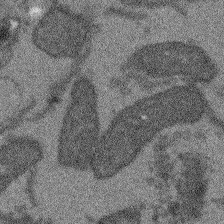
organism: Arabidopsis thaliana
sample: Root tip